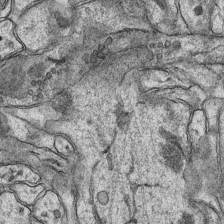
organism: Mouse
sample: CA1 Hippocampus